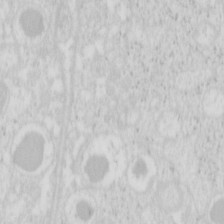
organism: Mouse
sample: Pancreas